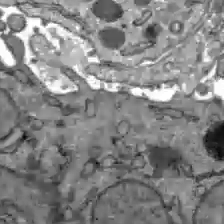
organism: C57BL Mouse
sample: Liver